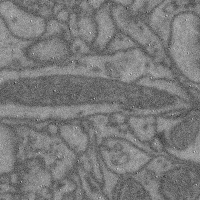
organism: Mouse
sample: Cerebral cortex